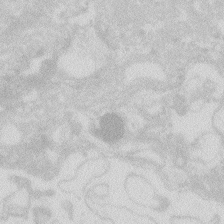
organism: Zebrafish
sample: Macrophage